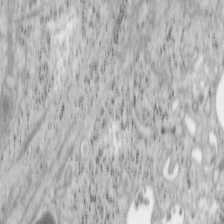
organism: Human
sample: HeLa cells